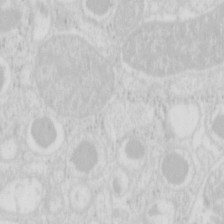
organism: Mouse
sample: Pancreas